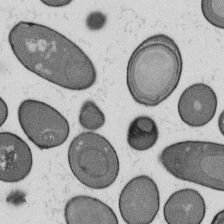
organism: B. subtilis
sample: Bacterial spore